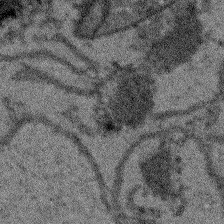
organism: Arabidopsis thaliana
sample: Root tip